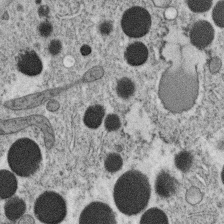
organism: C. elegans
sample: C. elegans oocyte; sperm cells